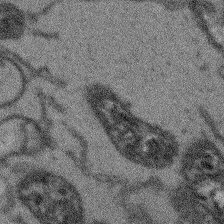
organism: Arabidopsis thaliana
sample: Root tip